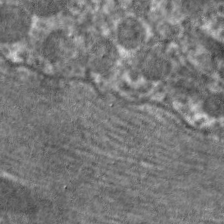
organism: C. elegans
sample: Pharynx